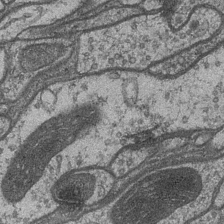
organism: Drosophila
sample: Optic medulla